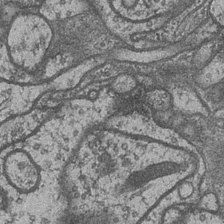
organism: Drosophila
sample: Optic medulla